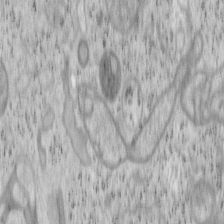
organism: Human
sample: HeLa cells